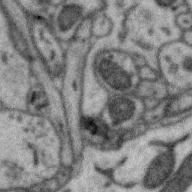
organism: Zebra finch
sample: Brain